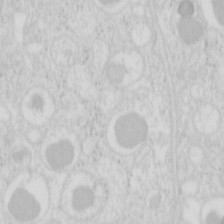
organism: Mouse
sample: Pancreas